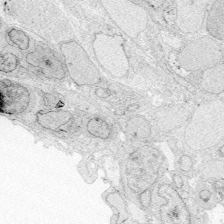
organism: Zebrafish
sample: Whole-Brain